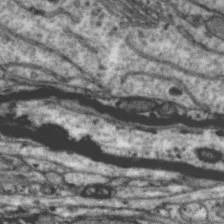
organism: Zebra finch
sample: Brain